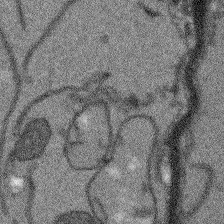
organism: Arabidopsis thaliana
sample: Root tip